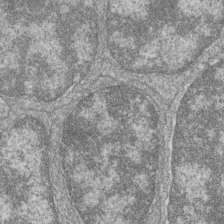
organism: Zebrafish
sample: Cilia; retinal pigment epithelium